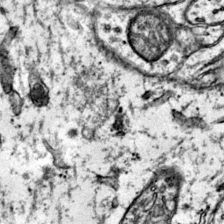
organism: Mouse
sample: Primary visual cortex